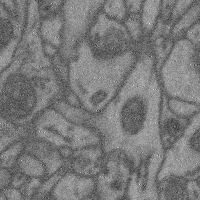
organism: Mouse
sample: Cerebral cortex